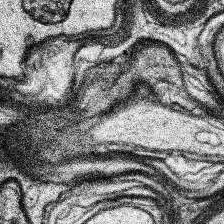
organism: Human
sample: Temporal Lobe